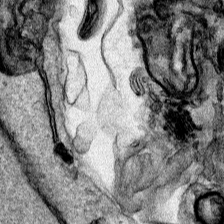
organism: Human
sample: Mitochondria in HCT116 cells